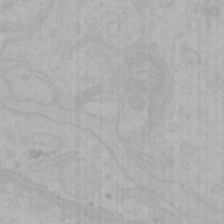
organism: Mouse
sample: Choroid plexus